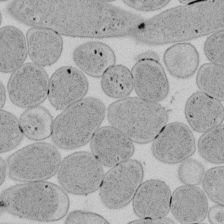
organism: E. coli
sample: Bacterial nucleoid